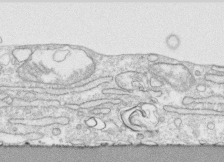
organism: Human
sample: CRL-1474